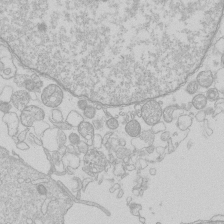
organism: Human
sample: Macrophage cells